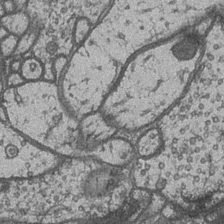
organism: Drosophila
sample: Optic medulla